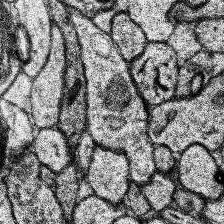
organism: Human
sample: Temporal Lobe